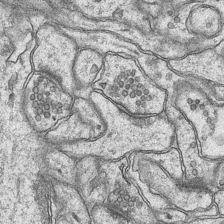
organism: Mouse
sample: CA1 Hippocampus